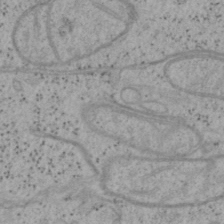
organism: Human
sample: HeLa cells